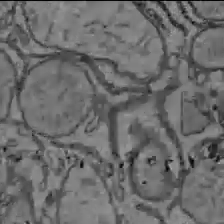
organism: C57BL Mouse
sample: Liver